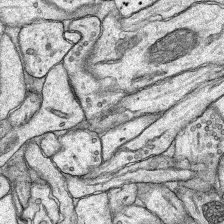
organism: Rat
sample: Hippocampus